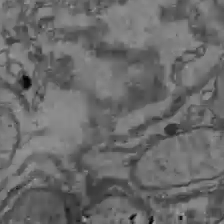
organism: C57BL Mouse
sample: Liver